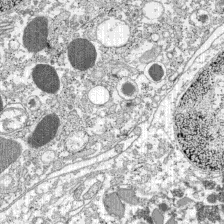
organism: C57BL Mouse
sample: Pancreatic islet